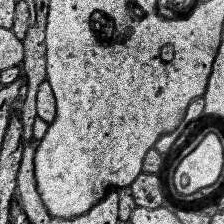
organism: Human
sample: Temporal Lobe